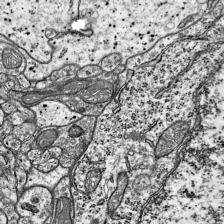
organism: Mouse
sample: Visual Cortex